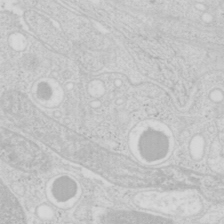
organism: Mouse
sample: Pancreas